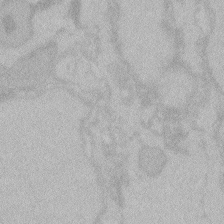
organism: Zebrafish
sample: Macrophage infected with Toxoplasma gondii